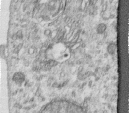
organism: Human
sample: Centriole in RPE cells